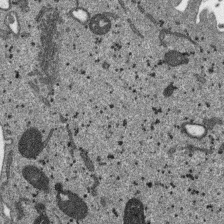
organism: Human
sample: Lung epithelial cells infected with SARS-CoV-2